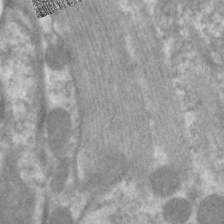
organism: C. elegans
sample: Pharynx